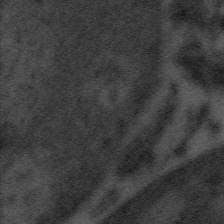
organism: Tuwongella immobilis